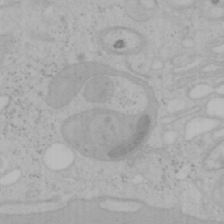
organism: Mouse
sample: OT-I killer T cells with ID8 ovarian cancer cells